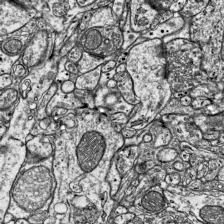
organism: Mouse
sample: Visual Cortex